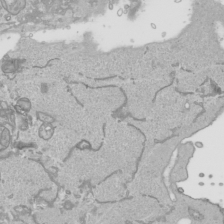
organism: Human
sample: Mitochondria in HCT116 cells